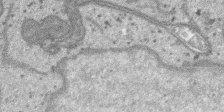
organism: Human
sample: Lung epithelial cells infected with SARS-CoV-2